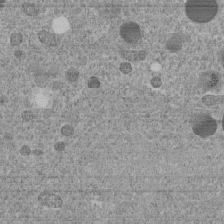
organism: C. elegans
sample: C. elegans embryo early stage